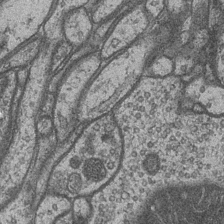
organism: Drosophila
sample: Optic medulla